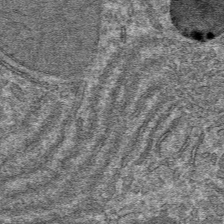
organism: Mouse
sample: Mouse hepatocytes